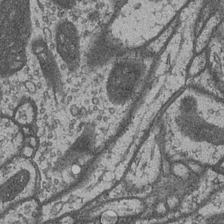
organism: Drosophila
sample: Optic medulla